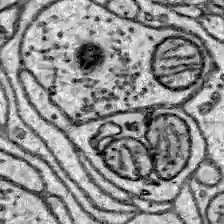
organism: Zebrafish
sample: Brain